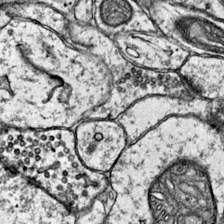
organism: Mouse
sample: Primary visual cortex